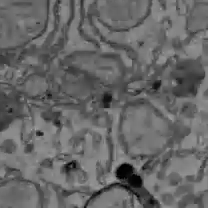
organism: C57BL Mouse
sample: Liver